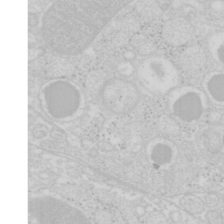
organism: Mouse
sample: Pancreas